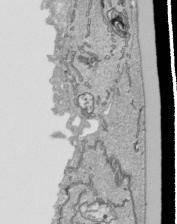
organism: Human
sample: Mitochondria in HCT116 cells